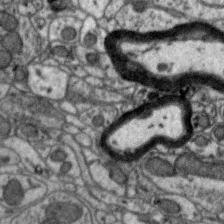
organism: Zebra finch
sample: Brain